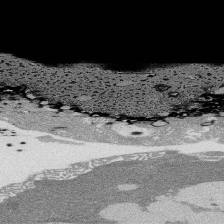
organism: Rat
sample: Salivary granule